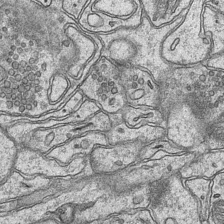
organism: Mouse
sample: CA1 Hippocampus